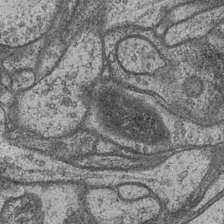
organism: Drosophila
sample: Optic medulla